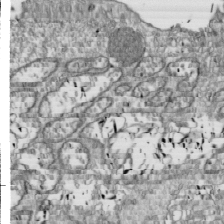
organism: Drosophila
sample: Cell division; meiosis; drosophila spermatocytes